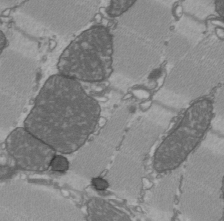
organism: C57BL Mouse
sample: Heart